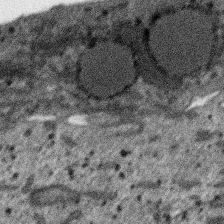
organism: Human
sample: Lung epithelial cells infected with SARS-CoV-2